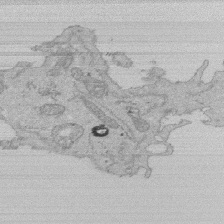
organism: Human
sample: Activated Jurkat CD4+ T cells